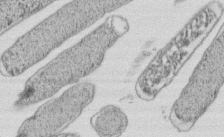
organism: E. coli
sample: Bacterial nucleoid